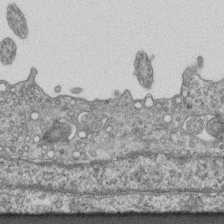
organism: Mouse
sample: Centriole in ependymal cells